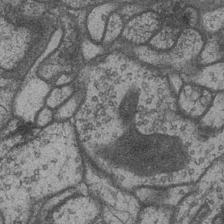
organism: Drosophila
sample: Optic medulla